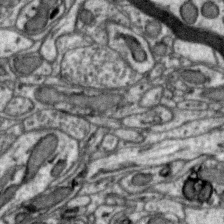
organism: Zebra finch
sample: Brain